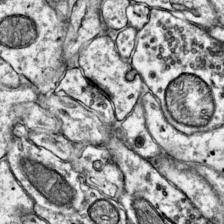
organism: Mouse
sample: Primary visual cortex